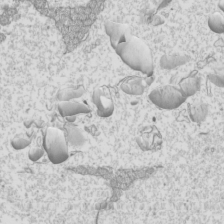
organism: Mouse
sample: Cilia; mouse epididymis